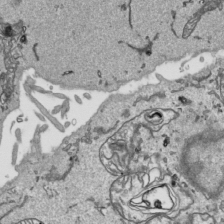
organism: Human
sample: Mitochondria in HCT116 cells